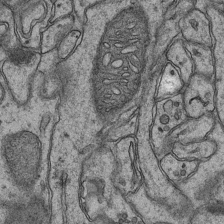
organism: Mouse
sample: CA1 Hippocampus